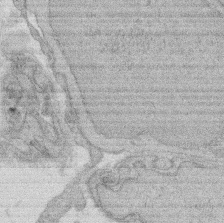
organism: Rat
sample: Salivary granule